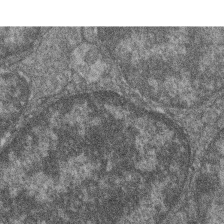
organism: Zebrafish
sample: Cilia; retinal pigment epithelium